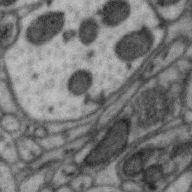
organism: Zebra finch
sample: Brain